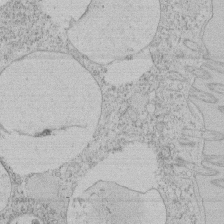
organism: Tetrahymena